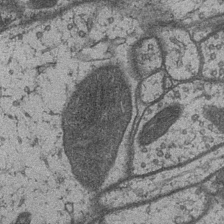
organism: Drosophila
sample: Optic medulla